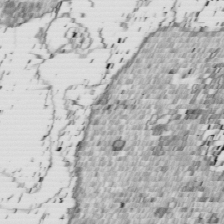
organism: Drosophila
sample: Cell division; meiosis; drosophila spermatocytes